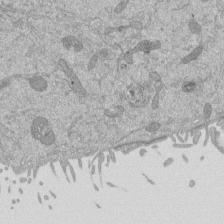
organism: Mouse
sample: ED-1 cell nuclei; centrioles